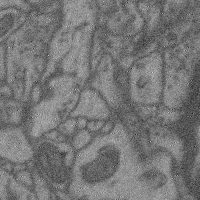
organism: Mouse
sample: Cerebral cortex